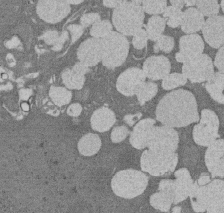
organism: Rat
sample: Salivary granule